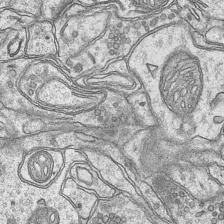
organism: Mouse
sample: CA1 Hippocampus